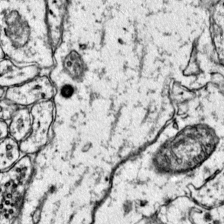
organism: Mouse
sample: Primary visual cortex